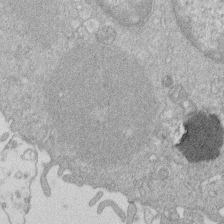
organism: Human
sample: Macrophage cells